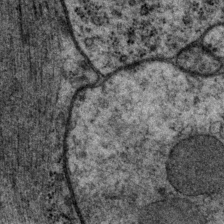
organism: P. pacificus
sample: Pharynx